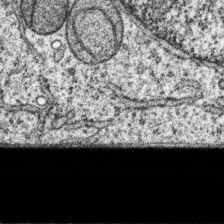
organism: Human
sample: HeLa cells